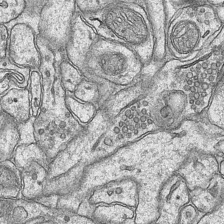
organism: Mouse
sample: CA1 Hippocampus